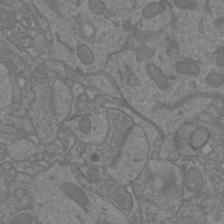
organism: Mouse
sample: Cortical neurons